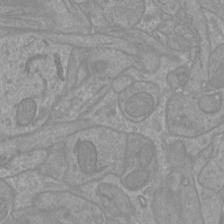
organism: Mouse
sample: Cortical neurons